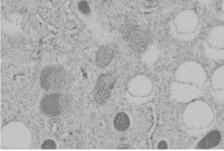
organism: C. elegans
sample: C. elegans embryo early stage